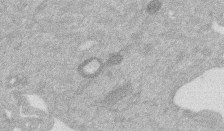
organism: Mouse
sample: Dividing mouse embryo 1 cell stage